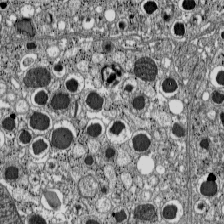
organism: C57BL Mouse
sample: Pancreatic islet